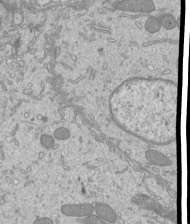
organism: Mouse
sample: Cilia; mouse epididymis